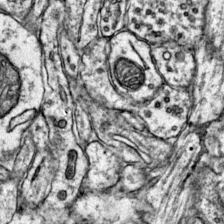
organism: Mouse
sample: Primary visual cortex